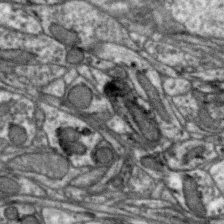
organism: Zebra finch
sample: Brain